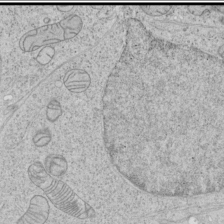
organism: Human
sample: Mitochondria in HCT116 cells